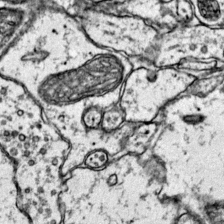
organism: Mouse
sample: Primary visual cortex